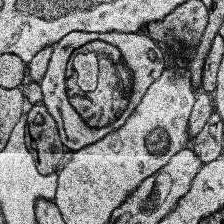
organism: Human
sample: Temporal Lobe